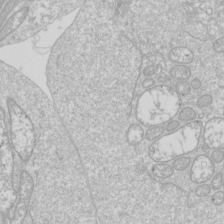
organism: Drosophila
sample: Cell division; meiosis; drosophila spermatocytes